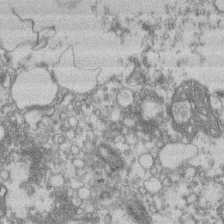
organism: Mouse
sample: T cell stromal cell synapse